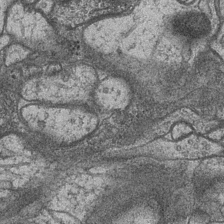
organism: Drosophila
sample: Optic medulla